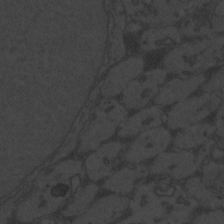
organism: Zebrafish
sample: Macrophage infected with Toxoplasma gondii